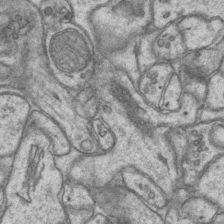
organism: Mouse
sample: CA1 Hippocampus